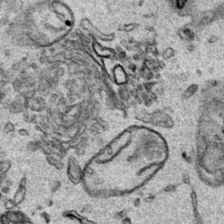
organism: Human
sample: Mitochondria in HCT116 cells